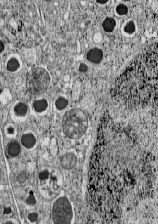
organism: C57BL Mouse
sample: Pancreatic islet